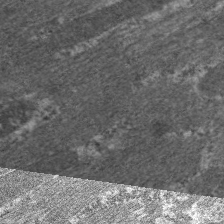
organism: C. elegans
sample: Pharynx